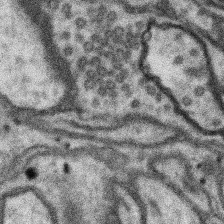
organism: Mouse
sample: Somatosensory cortex neuropil